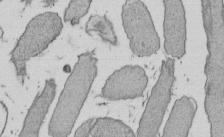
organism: E. coli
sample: Bacterial nucleoid